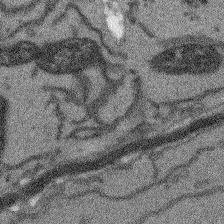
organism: Arabidopsis thaliana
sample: Root tip